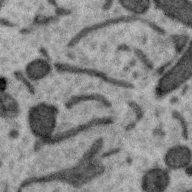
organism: Zebra finch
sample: Brain